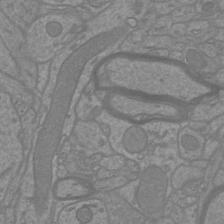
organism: Mouse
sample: Cortical neurons